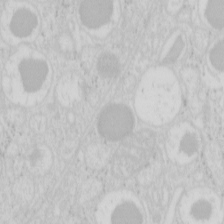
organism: Mouse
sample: Pancreas